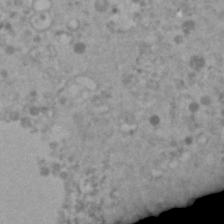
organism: Human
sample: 1205lu cells